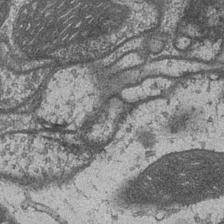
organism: Drosophila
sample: Optic medulla